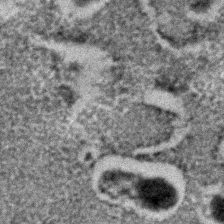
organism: C. elegans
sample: C. elegans embryo